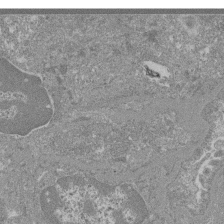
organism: Mouse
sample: Glomerulus